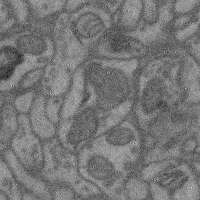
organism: Mouse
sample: Cerebral cortex